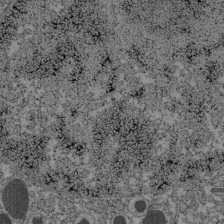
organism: C57BL Mouse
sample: Pancreatic islet